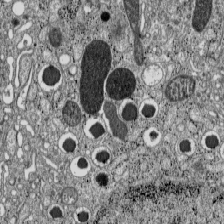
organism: C57BL Mouse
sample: Pancreatic islet